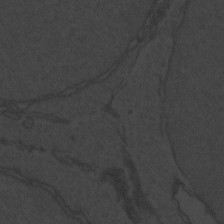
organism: Zebrafish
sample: Macrophage infected with Toxoplasma gondii